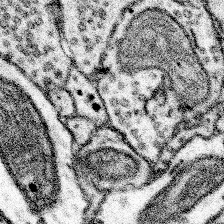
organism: Mouse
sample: Somatosensory cortex neuropil